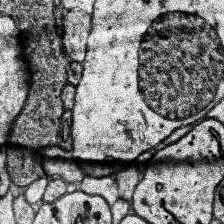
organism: Human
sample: Temporal Lobe